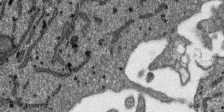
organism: Human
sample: Lung epithelial cells infected with SARS-CoV-2